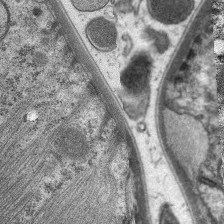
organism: C. elegans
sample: Pharynx